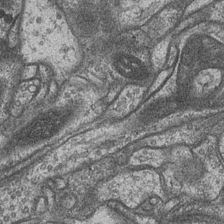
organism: Drosophila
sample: Optic medulla